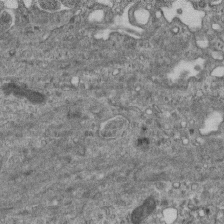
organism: Mouse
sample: Centriole in ependymal cells